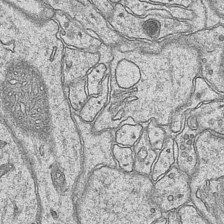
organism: Mouse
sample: CA1 Hippocampus